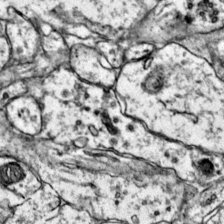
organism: Mouse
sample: Primary visual cortex